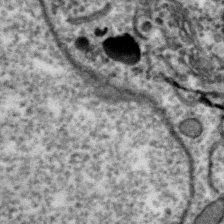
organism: Zebra finch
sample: Brain